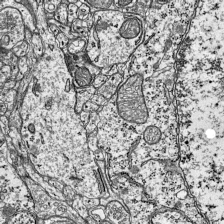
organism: Mouse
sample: Visual Cortex